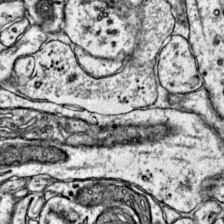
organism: Mouse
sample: Primary visual cortex